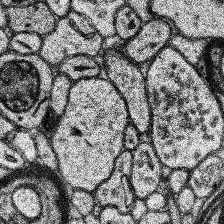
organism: Human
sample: Temporal Lobe